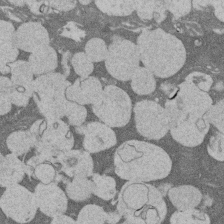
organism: Rat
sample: Salivary granule